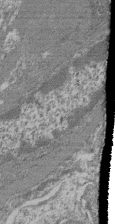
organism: Mouse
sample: Glomerulus